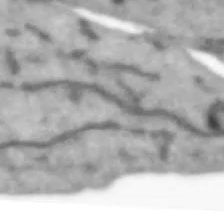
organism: Human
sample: SH-SY5Y cells